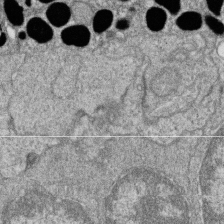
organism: Zebrafish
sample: Cilia; retinal pigment epithelium